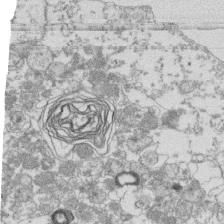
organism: Human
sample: HeLa cell HIV synapse